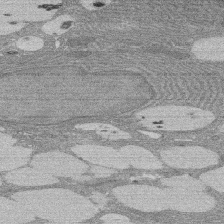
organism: Rat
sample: Salivary granule